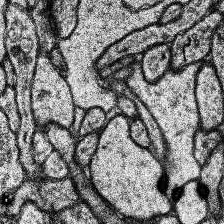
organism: Human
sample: Temporal Lobe